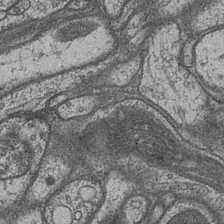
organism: Drosophila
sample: Optic medulla